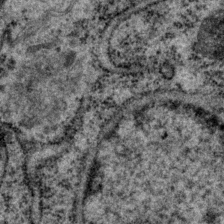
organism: P. pacificus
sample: Pharynx